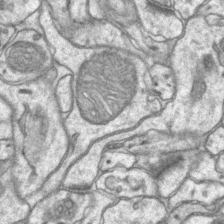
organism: Mouse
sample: CA1 Hippocampus